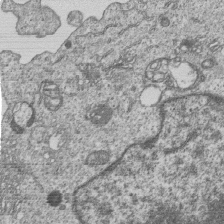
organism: Human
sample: MDA-MB-231 cells